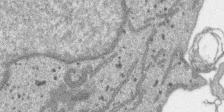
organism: Human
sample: Lung epithelial cells infected with SARS-CoV-2